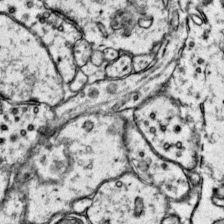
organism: Mouse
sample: Primary visual cortex